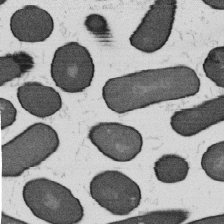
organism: B. subtilis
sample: Bacterial spore